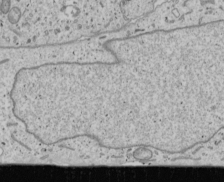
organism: Human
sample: Mitochondria in U2OS cells